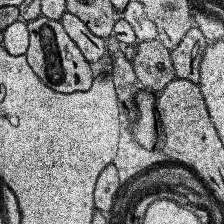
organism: Human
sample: Temporal Lobe